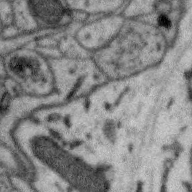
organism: Zebra finch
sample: Brain